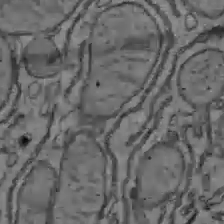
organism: C57BL Mouse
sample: Liver